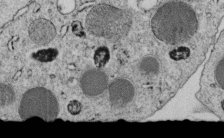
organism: C. elegans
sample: C. elegans embryo early stage